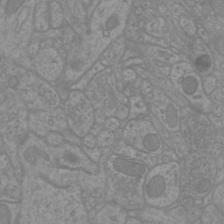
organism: Mouse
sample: Cortical neurons